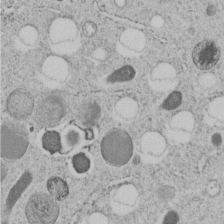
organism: C. elegans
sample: C. elegans embryo early stage